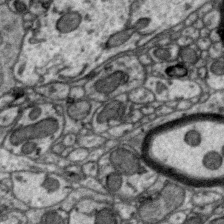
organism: Zebra finch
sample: Brain